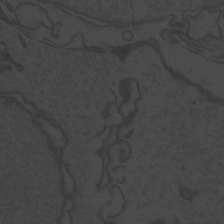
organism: Zebrafish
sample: Macrophage infected with Toxoplasma gondii